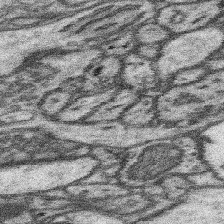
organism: Mouse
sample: Somatosensory cortex neuropil